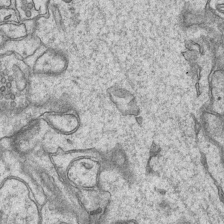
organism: Mouse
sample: CA1 Hippocampus